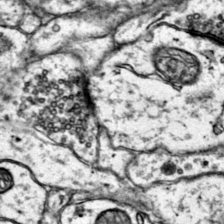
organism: Mouse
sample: Primary visual cortex